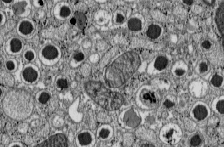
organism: C57BL Mouse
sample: Pancreatic islet